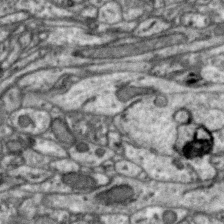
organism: Zebra finch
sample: Brain